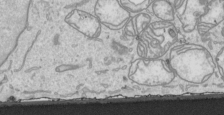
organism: Human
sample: Mitochondria in HCT116 cells